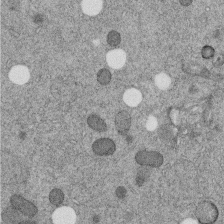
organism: C. elegans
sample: C. elegans embryo early stage